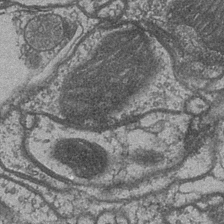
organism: Drosophila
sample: Optic medulla